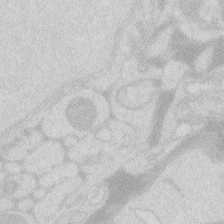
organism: Zebrafish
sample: Macrophage